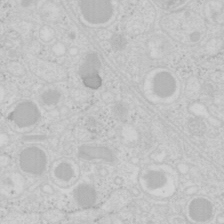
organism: Mouse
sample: Pancreas